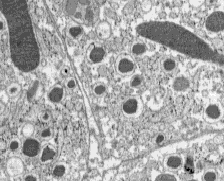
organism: C57BL Mouse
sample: Pancreatic islet